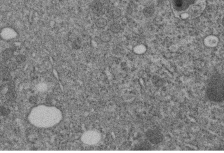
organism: C. elegans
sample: C. elegans embryo early stage